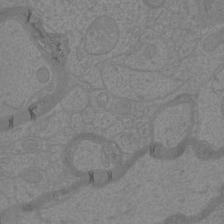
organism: Mouse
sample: Cortical neurons